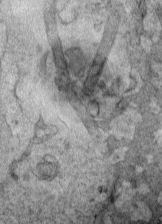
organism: Human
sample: Mitochondria in HCT116 cells